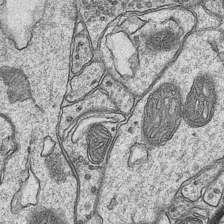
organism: Mouse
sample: CA1 Hippocampus